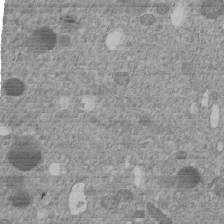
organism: C. elegans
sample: C. elegans embryo early stage